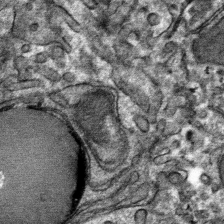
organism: Mouse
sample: Mouse hepatocytes